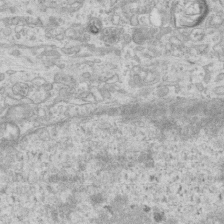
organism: Mouse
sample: Centriole in ependymal cells